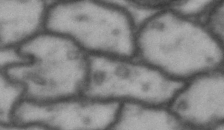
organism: Drosophila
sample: Brain